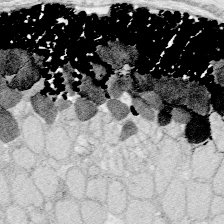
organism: Zebrafish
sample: Whole-Brain